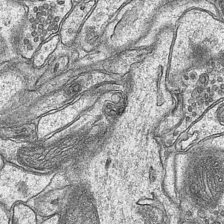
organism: Mouse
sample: CA1 Hippocampus